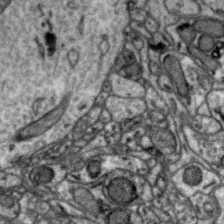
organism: Zebra finch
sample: Brain